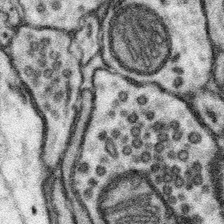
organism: Mouse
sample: Somatosensory cortex neuropil